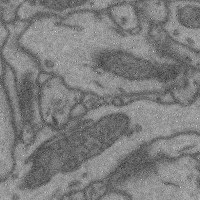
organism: Mouse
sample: Cerebral cortex